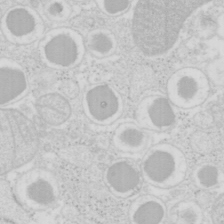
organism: Mouse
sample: Pancreas